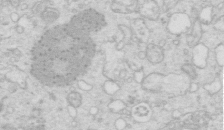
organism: Mouse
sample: Multiciliated cells